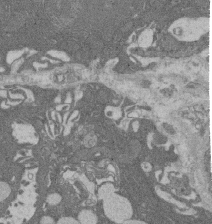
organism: Rat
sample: Salivary granule